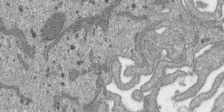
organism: Human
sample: Lung epithelial cells infected with SARS-CoV-2